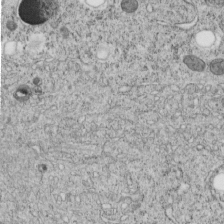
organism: C. elegans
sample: C. elegans embryo early stage